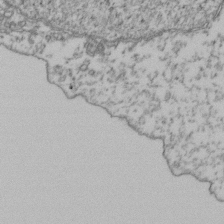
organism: Human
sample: Activated Jurkat CD4+ T cells